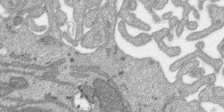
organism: Human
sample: Lung epithelial cells infected with SARS-CoV-2